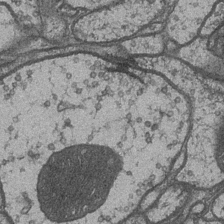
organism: Drosophila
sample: Optic medulla